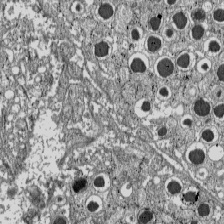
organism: C57BL Mouse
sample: Pancreatic islet